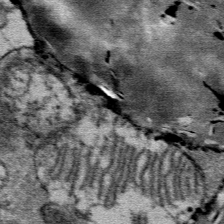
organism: Mouse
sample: Mouse Salivary gland